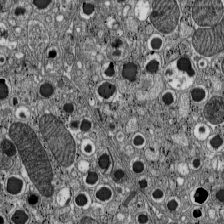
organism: C57BL Mouse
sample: Pancreatic islet